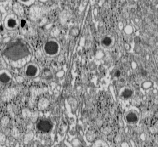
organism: C57BL Mouse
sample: Pancreatic islet